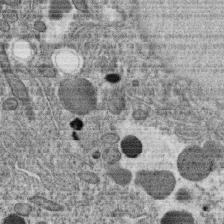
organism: C. elegans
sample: C. elegans oocyte; sperm cells